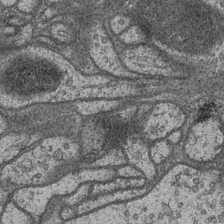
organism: Drosophila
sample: Optic medulla